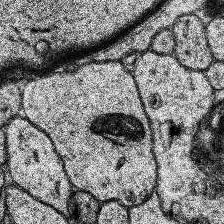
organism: Human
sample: Temporal Lobe